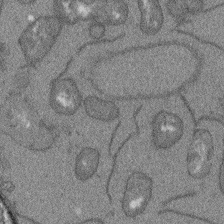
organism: Arabidopsis thaliana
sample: Root tip